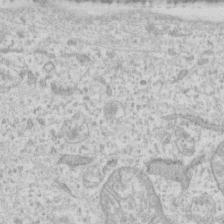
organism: Human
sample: Fibroblast cells